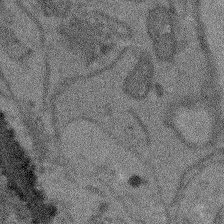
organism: Arabidopsis thaliana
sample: Root tip